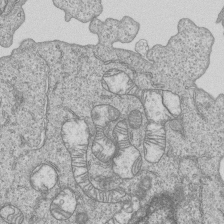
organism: Human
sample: MDA-MB-231 cells